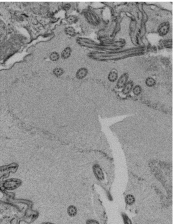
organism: Tetrahymena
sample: Cilia in tetrahymena